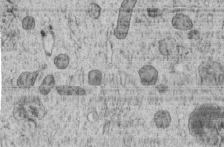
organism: C. elegans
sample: C. elegans embryo early stage